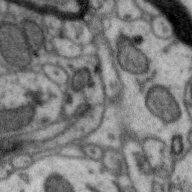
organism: Zebra finch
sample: Brain